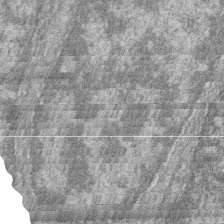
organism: Zebrafish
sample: Cilia; retinal pigment epithelium